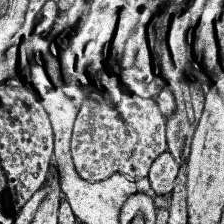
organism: Human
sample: Temporal Lobe